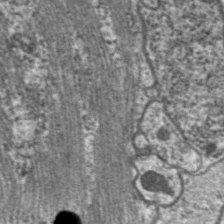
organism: C. elegans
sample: Pharynx